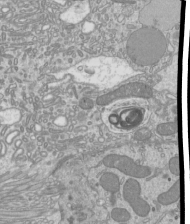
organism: Mouse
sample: Cilia; mouse epididymis